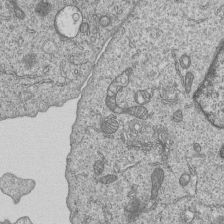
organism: Human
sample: MDA-MB-231 cells